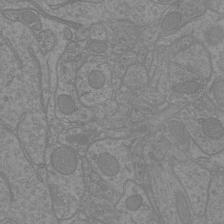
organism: Mouse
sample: Cortical neurons